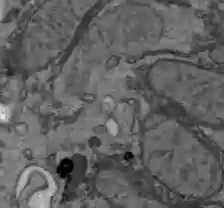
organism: C57BL Mouse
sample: Liver